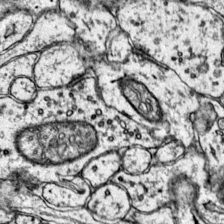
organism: Mouse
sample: Primary visual cortex